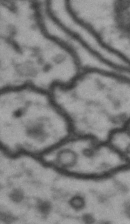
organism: Drosophila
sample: Brain